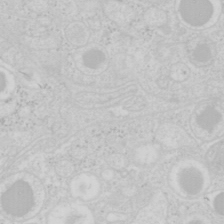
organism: Mouse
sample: Pancreas